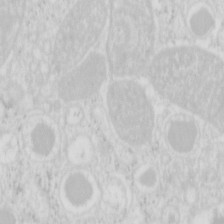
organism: Mouse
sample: Pancreas